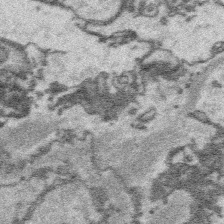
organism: Platynereis dumerilii